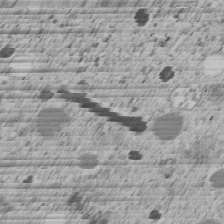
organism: C. elegans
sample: C. elegans embryo early stage